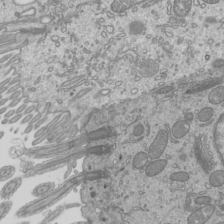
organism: Mouse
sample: Cilia; mouse epididymis